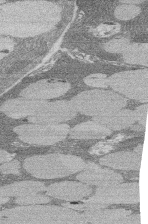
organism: Rat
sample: Salivary granule